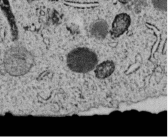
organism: C. elegans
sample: C. elegans embryo early stage